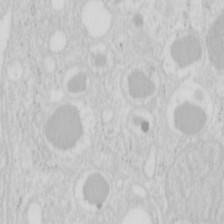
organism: Mouse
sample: Pancreas